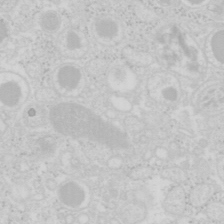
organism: Mouse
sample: Pancreas